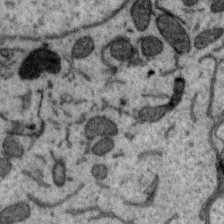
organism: Zebra finch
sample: Brain